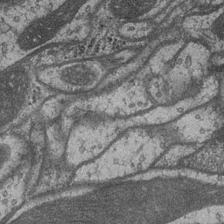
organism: Drosophila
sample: Optic medulla